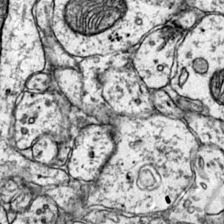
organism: Mouse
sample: Primary visual cortex